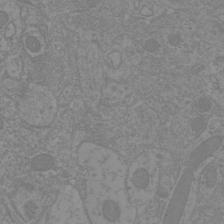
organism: Mouse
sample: Cortical neurons